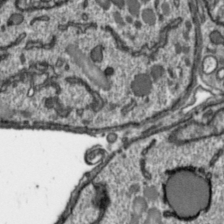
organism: Toxoplasma gondii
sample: Parasites in a vacuole inside a host cell